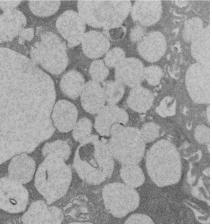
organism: Rat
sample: Salivary granule